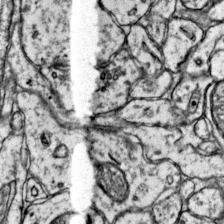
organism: Mouse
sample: Primary visual cortex